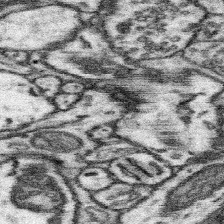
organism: Mouse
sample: Somatosensory cortex neuropil